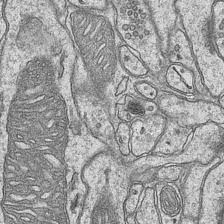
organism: Mouse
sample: CA1 Hippocampus